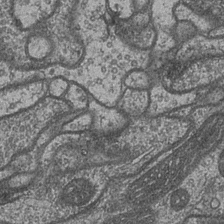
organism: Drosophila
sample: Optic medulla